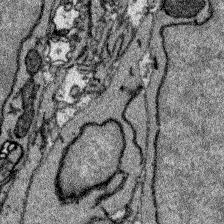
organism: Zebrafish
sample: Larval olfactory bulb